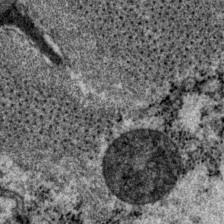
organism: P. pacificus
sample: Pharynx